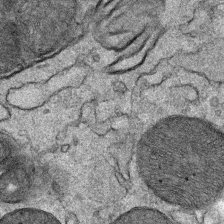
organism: Mouse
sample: Mouse Salivary gland